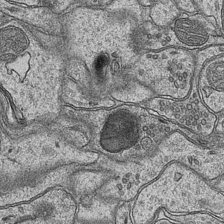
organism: Mouse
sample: CA1 Hippocampus